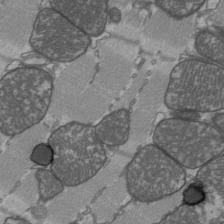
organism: C57BL Mouse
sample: Heart